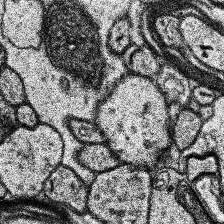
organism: Human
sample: Temporal Lobe